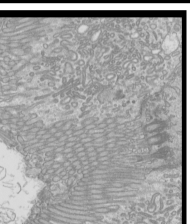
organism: Mouse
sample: Cilia; mouse epididymis